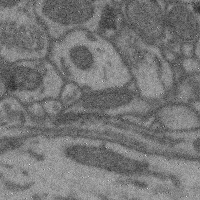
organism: Mouse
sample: Cerebral cortex